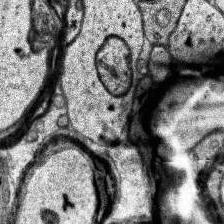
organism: Human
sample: Temporal Lobe